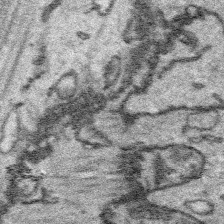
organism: Platynereis dumerilii